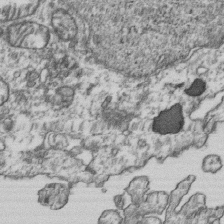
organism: Human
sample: Activated Jurkat CD4+ T cells